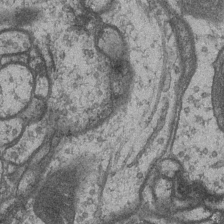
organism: Drosophila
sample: Optic medulla